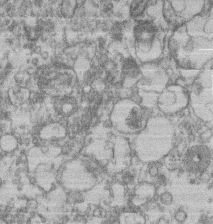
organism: Mouse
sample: T cell stromal cell synapse